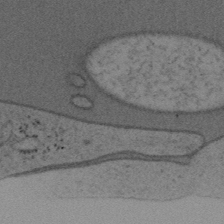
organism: Human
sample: HeLa cells